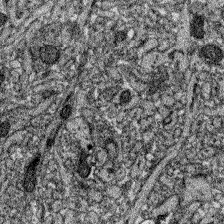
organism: Zebrafish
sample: Larval olfactory bulb